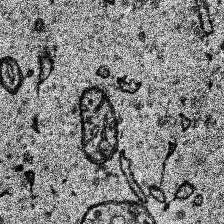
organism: Human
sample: Temporal Lobe